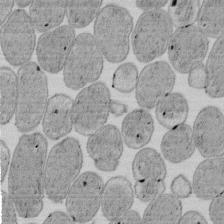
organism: E. coli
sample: Bacterial nucleoid